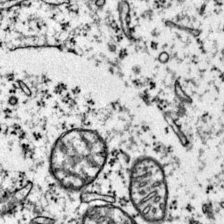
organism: Mouse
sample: Primary visual cortex